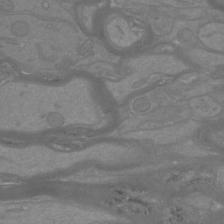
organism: Mouse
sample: Cortical neurons